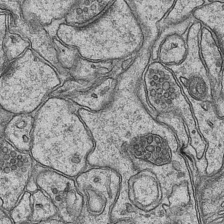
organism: Mouse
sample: CA1 Hippocampus